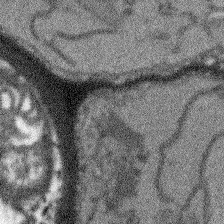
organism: Arabidopsis thaliana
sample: Root tip